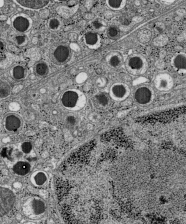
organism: C57BL Mouse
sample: Pancreatic islet